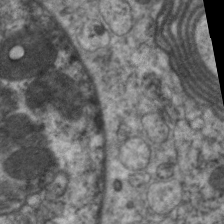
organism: C. elegans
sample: Pharynx